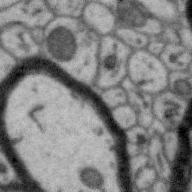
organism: Zebra finch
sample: Brain